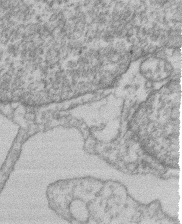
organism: Mouse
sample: T cell stromal cell synapse